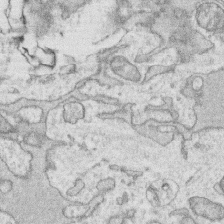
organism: Human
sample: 1205lu cells